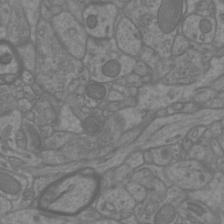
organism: Mouse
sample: Cortical neurons